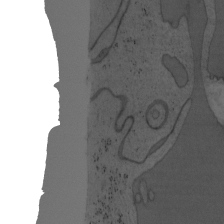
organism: Mouse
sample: OT-I killer T cells with ID8 ovarian cancer cells